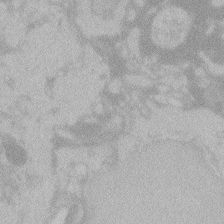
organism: Zebrafish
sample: Macrophage infected with Toxoplasma gondii